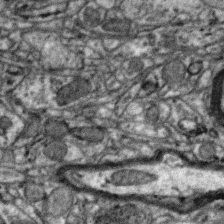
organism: Zebra finch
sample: Brain